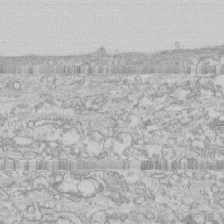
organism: Human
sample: CRL-1474